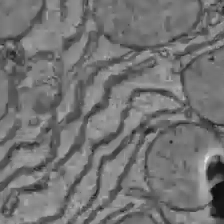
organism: C57BL Mouse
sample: Liver